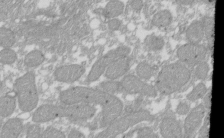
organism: Xenopus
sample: Cilia; centrioles in frog embryo cells